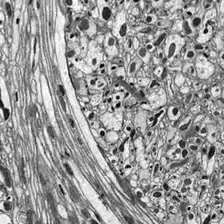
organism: Drosophila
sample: Optic lobe